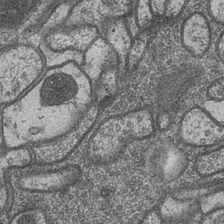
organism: Drosophila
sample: Optic medulla